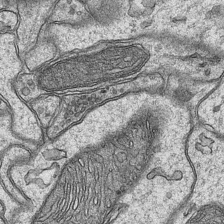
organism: Mouse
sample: CA1 Hippocampus